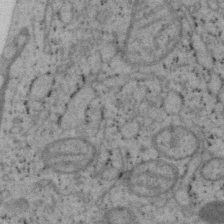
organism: Human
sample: HeLa cells